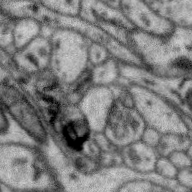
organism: Zebra finch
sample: Brain